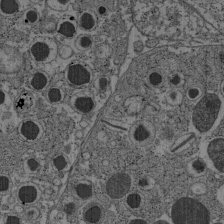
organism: C57BL Mouse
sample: Pancreatic islet